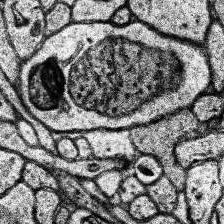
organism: Human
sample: Temporal Lobe